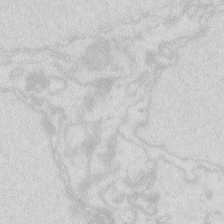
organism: Zebrafish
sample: Macrophage